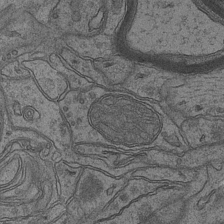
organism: Mouse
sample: CA1 Hippocampus